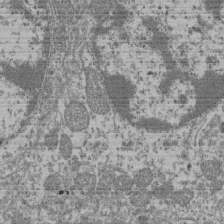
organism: Mouse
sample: Glomerulus